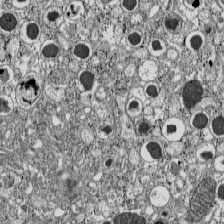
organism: C57BL Mouse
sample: Pancreatic islet